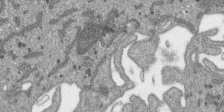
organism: Human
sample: Lung epithelial cells infected with SARS-CoV-2